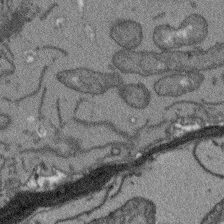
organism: Arabidopsis thaliana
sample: Root tip